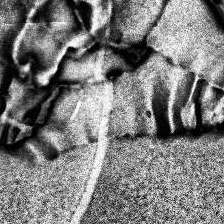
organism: Human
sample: Temporal Lobe